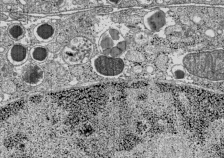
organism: C57BL Mouse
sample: Pancreatic islet